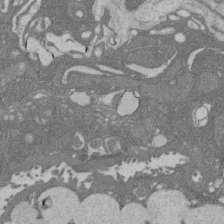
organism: Rat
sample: Salivary granule